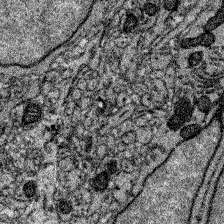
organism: Zebrafish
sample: Larval olfactory bulb